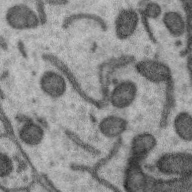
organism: Zebra finch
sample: Brain